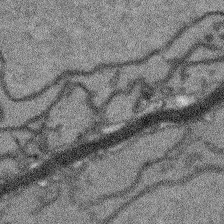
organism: Arabidopsis thaliana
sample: Root tip